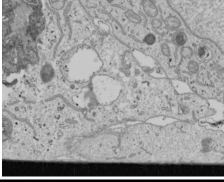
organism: Human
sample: Mitochondria in U2OS cells